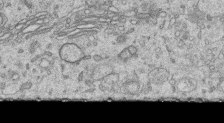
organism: Human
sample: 1205lu cells